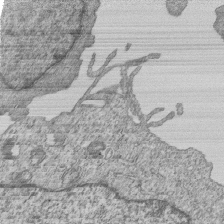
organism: Human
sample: MDA-MB-231 cells